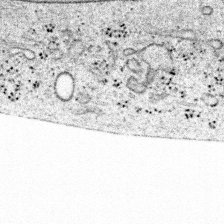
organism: Human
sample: HeLa cells